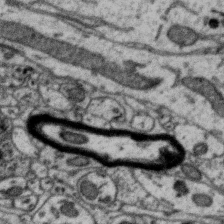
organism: Zebra finch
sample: Brain